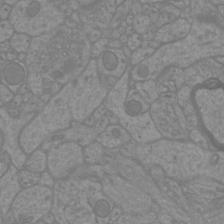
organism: Mouse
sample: Cortical neurons